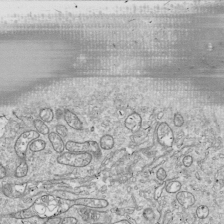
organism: Drosophila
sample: Cell division; meiosis; drosophila spermatocytes